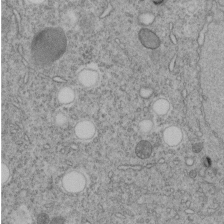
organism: C. elegans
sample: C. elegans embryo early stage